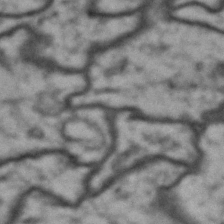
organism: Drosophila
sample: Brain